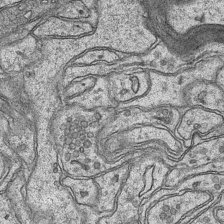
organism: Mouse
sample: CA1 Hippocampus